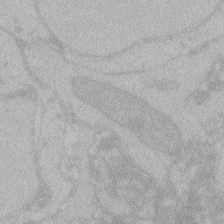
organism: Zebrafish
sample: Macrophage infected with Toxoplasma gondii